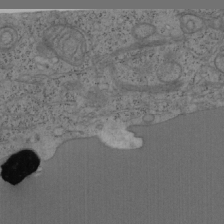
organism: Human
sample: HeLa cells